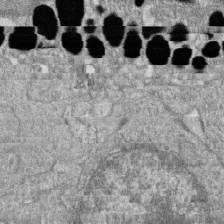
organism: Zebrafish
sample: Cilia; retinal pigment epithelium